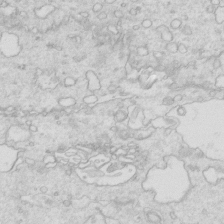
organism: Mouse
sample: Multiciliated cells